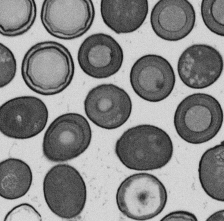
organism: B. subtilis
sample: Bacterial spore